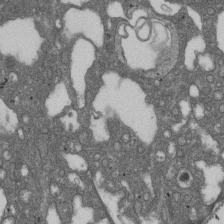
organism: Drosophila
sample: Nephrocyte